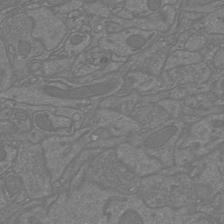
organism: Mouse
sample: Cortical neurons